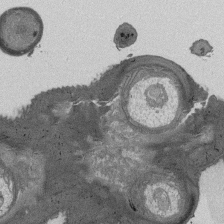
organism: Drosophila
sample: Antenna